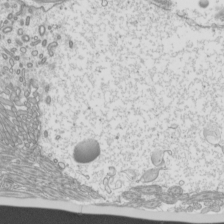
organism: Mouse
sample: Cilia; mouse epididymis